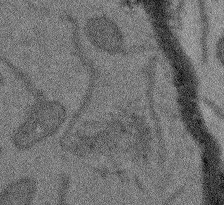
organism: Arabidopsis thaliana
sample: Root tip